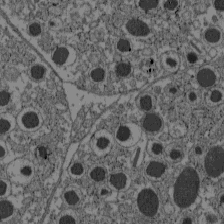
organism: C57BL Mouse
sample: Pancreatic islet